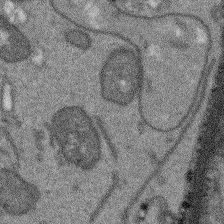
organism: Arabidopsis thaliana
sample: Root tip